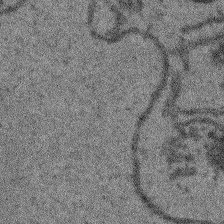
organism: Arabidopsis thaliana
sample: Root tip